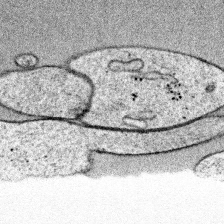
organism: Human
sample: HeLa cells